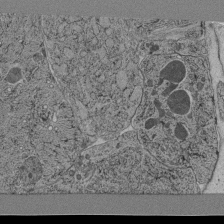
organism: C. elegans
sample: C. elegans pharynx